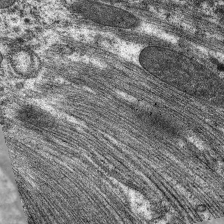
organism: C. elegans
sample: Pharynx